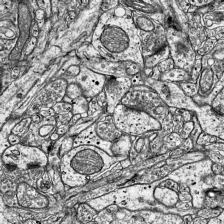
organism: Mouse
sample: Visual Cortex